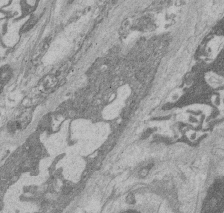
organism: Rat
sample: Salivary granule